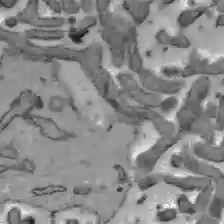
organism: C57BL Mouse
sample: Liver